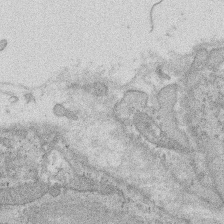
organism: Rat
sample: Salivary granule